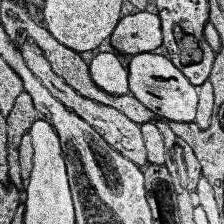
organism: Human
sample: Temporal Lobe